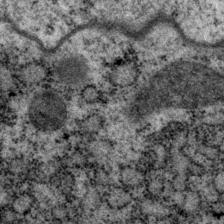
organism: P. pacificus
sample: Pharynx